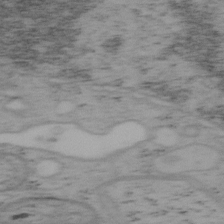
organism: Mouse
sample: OT-I killer T cells with ID8 ovarian cancer cells